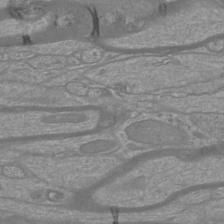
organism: Mouse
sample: Cortical neurons